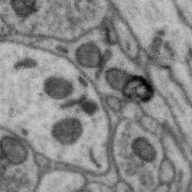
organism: Zebra finch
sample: Brain